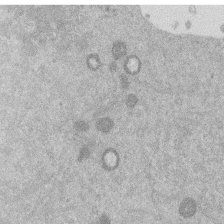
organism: Mouse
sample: Dividing mouse embryo 1 cell stage